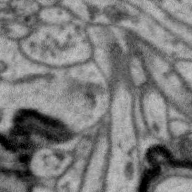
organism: Zebra finch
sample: Brain